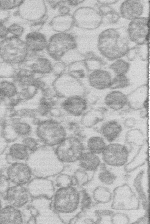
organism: Human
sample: Macrophage cells